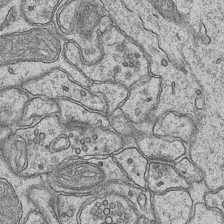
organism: Mouse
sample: CA1 Hippocampus